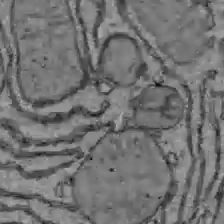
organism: C57BL Mouse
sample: Liver